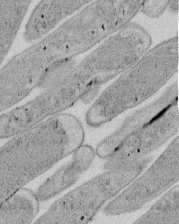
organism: E. coli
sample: Bacterial nucleoid